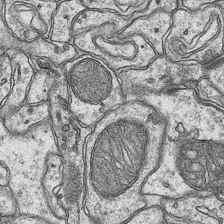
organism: Mouse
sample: CA1 Hippocampus